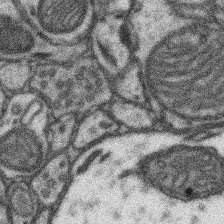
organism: Mouse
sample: Somatosensory cortex neuropil